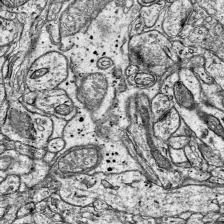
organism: Mouse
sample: Visual Cortex